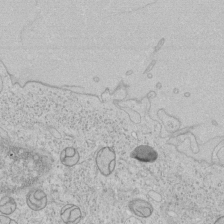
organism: Human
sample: Mitochondria in HCT116 cells